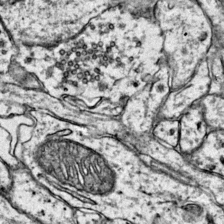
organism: Mouse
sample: Primary visual cortex